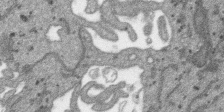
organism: Human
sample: Lung epithelial cells infected with SARS-CoV-2